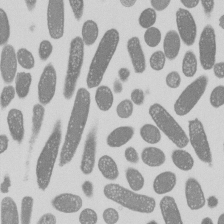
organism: E. coli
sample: Bacterial nucleoid